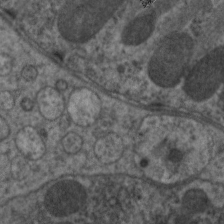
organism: C. elegans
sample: Pharynx